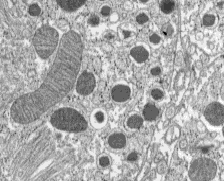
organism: C57BL Mouse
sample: Pancreatic islet